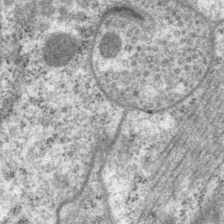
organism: P. pacificus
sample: Pharynx